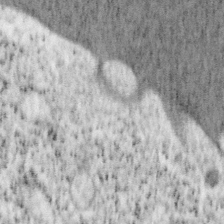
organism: Mouse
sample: OT-I killer T cells with ID8 ovarian cancer cells